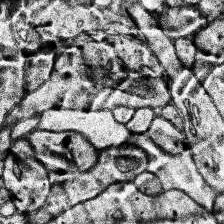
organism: Human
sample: Temporal Lobe